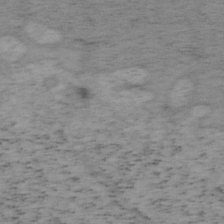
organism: Mouse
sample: OT-I killer T cells with ID8 ovarian cancer cells